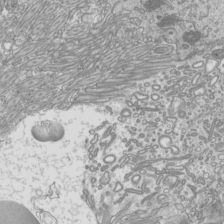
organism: Mouse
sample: Cilia; mouse epididymis